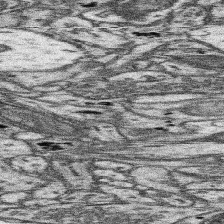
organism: Mouse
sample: Somatosensory cortex neuropil